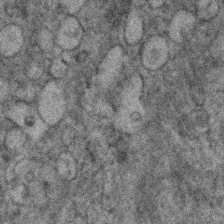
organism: Human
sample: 1205lu cells